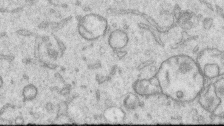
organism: Human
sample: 1205lu cells